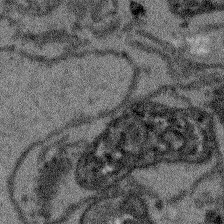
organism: Arabidopsis thaliana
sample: Root tip